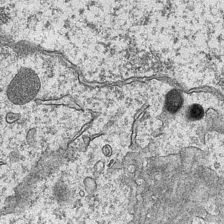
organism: Mouse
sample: CA1 Hippocampus